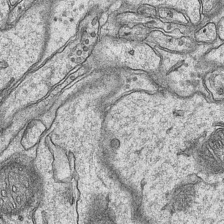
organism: Mouse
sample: CA1 Hippocampus